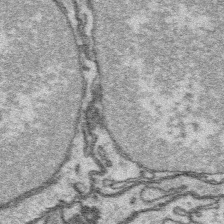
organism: Platynereis dumerilii